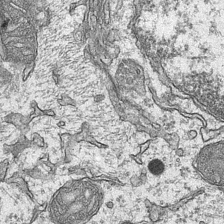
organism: Mouse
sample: CA1 Hippocampus